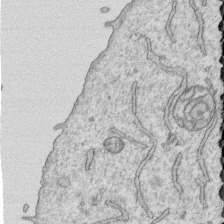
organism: Human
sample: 1205lu cells